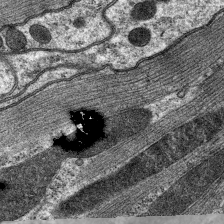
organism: C. elegans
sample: Pharynx